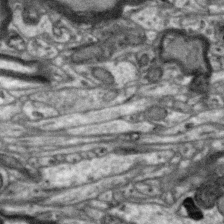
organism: Zebra finch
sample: Brain